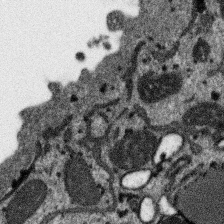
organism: Human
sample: Lung epithelial cells infected with SARS-CoV-2